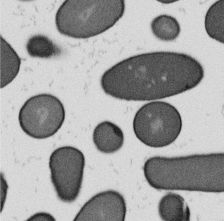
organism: B. subtilis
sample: Bacterial spore